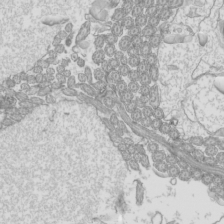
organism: Mouse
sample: Cilia; mouse epididymis